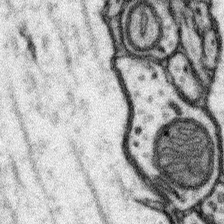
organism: Mouse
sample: Somatosensory cortex neuropil